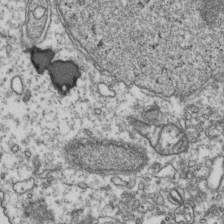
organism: Human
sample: Activated Jurkat CD4+ T cells